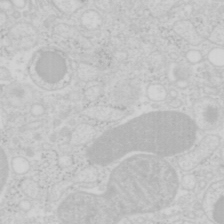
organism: Mouse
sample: Pancreas